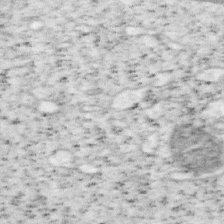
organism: Mouse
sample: OT-I killer T cells with ID8 ovarian cancer cells